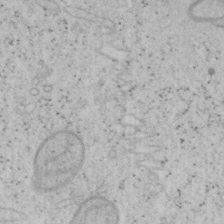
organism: Human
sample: HeLa cells